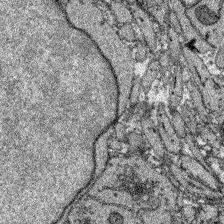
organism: Zebrafish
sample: Larval olfactory bulb